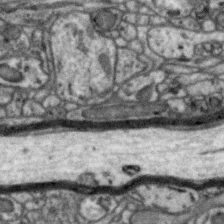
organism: Zebra finch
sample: Brain